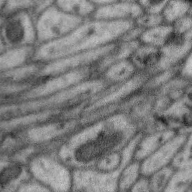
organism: Zebra finch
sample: Brain